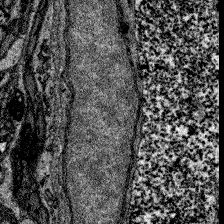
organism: Zebrafish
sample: Larval olfactory bulb